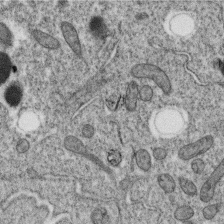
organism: C. elegans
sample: C. elegans oocyte; sperm cells